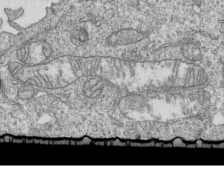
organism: Human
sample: HeLa cell HIV synapse